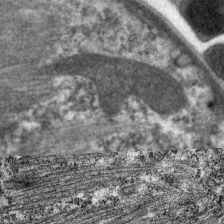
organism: C. elegans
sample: Pharynx